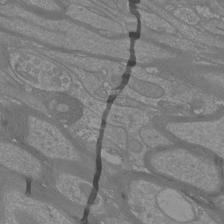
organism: Mouse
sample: Cortical neurons